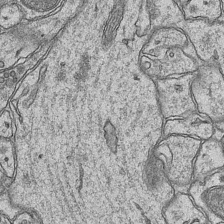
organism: Mouse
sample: CA1 Hippocampus